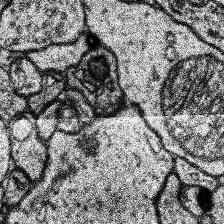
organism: Human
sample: Temporal Lobe